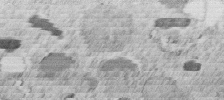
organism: C. elegans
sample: C. elegans embryo early stage